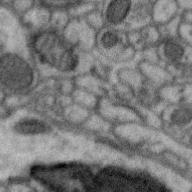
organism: Zebra finch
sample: Brain